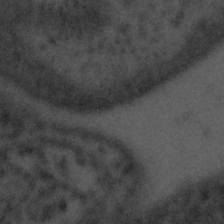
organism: Tuwongella immobilis